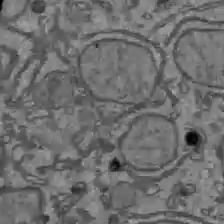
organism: C57BL Mouse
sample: Liver